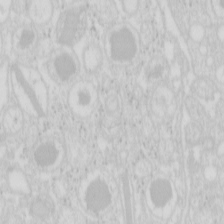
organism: Mouse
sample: Pancreas